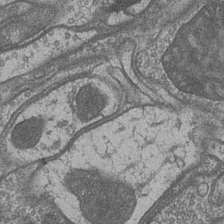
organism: Drosophila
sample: Optic medulla